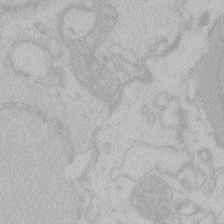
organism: Zebrafish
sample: Macrophage infected with Toxoplasma gondii